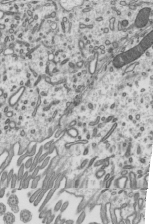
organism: Mouse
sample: Mouse epididymis efferent ductule cilia